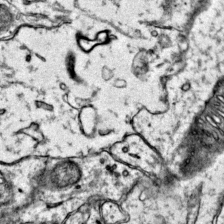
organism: Mouse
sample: Primary visual cortex